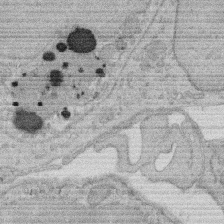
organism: Rat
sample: Salivary granule